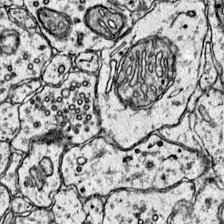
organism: Mouse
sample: Primary visual cortex